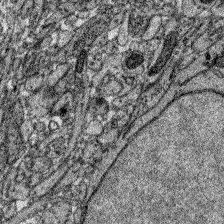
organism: Zebrafish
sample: Larval olfactory bulb